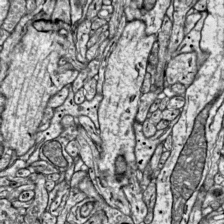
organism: Mouse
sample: Visual Cortex